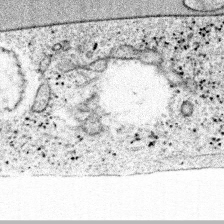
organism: Human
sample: HeLa cells